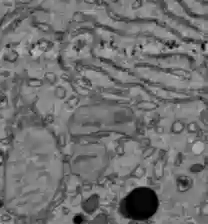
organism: C57BL Mouse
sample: Liver